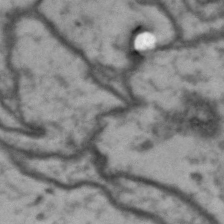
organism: Drosophila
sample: Brain